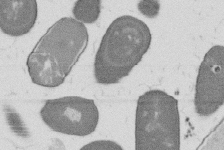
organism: B. subtilis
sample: Bacterial spore